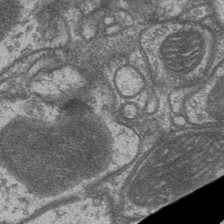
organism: Drosophila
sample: Optic medulla